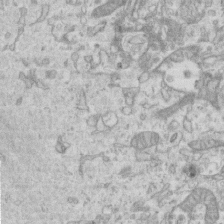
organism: Mouse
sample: Centriole in ependymal cells